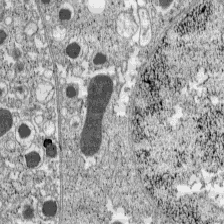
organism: C57BL Mouse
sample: Pancreatic islet